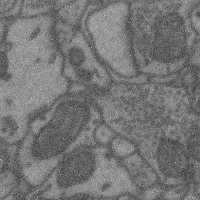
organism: Mouse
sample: Cerebral cortex